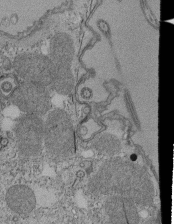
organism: Tetrahymena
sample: Cilia in tetrahymena